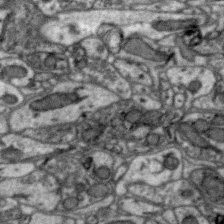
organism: Zebra finch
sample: Brain